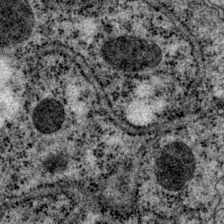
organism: P. pacificus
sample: Pharynx